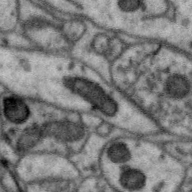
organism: Zebra finch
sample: Brain